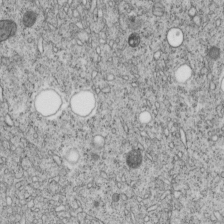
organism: C. elegans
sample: C. elegans embryo early stage